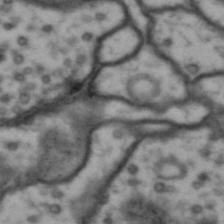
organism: Drosophila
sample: Brain